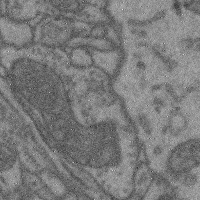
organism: Mouse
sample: Cerebral cortex